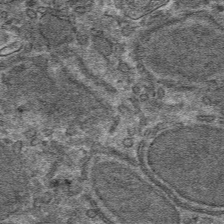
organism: Mouse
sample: Mouse hepatocytes